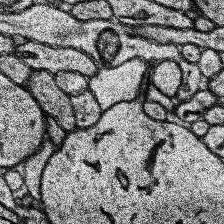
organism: Human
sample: Temporal Lobe